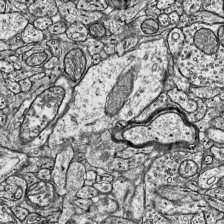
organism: Mouse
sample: Visual Cortex